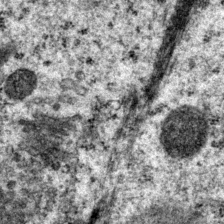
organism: P. pacificus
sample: Pharynx